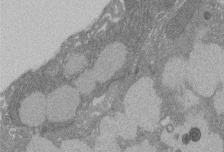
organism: Rat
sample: Salivary granule